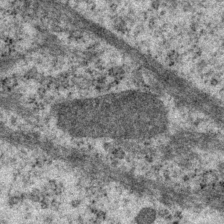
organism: P. pacificus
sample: Pharynx